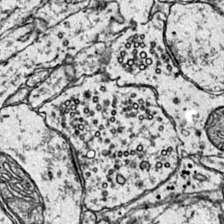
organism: Mouse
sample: Primary visual cortex